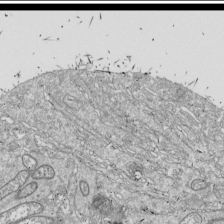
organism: Drosophila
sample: Cell division; meiosis; drosophila spermatocytes